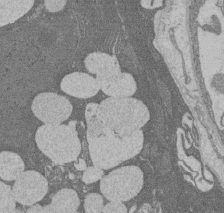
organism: Rat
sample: Salivary granule